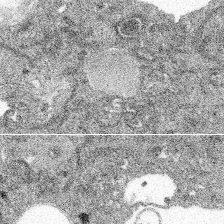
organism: Spongilla lacustris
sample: Multiple